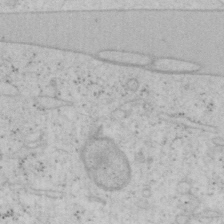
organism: Human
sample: HeLa cells